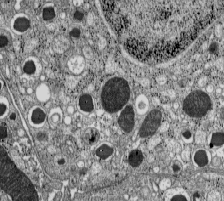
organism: C57BL Mouse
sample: Pancreatic islet